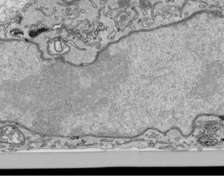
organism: Human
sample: Mitochondria in HCT116 cells